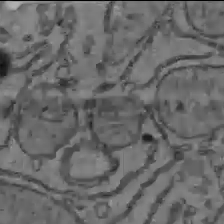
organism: C57BL Mouse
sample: Liver